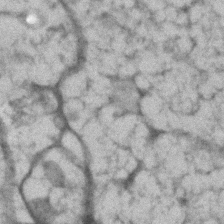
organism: Human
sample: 1205lu cells